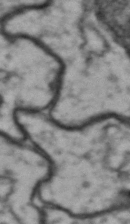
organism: Drosophila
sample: Brain